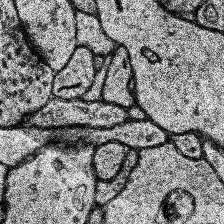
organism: Human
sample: Temporal Lobe